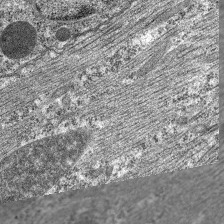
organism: C. elegans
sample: Pharynx